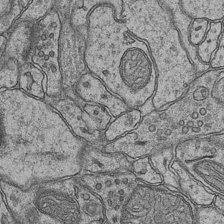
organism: Mouse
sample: CA1 Hippocampus